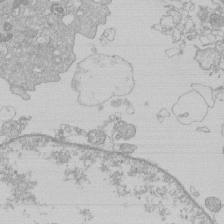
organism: Human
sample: Macrophage cells